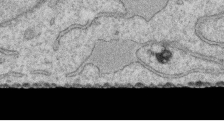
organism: Human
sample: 1205lu cells